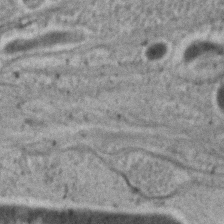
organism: C. elegans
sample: C. elegans embryo